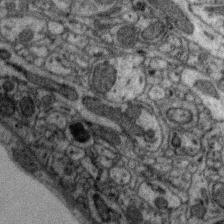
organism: Zebra finch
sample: Brain